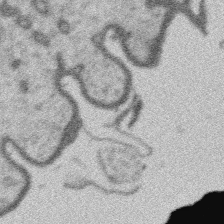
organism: Platynereis dumerilii